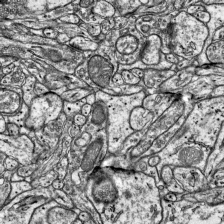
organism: Mouse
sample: Visual Cortex